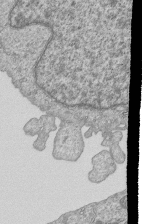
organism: Human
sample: MDA-MB-231 cells